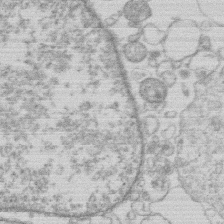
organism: Human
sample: Macrophage cells